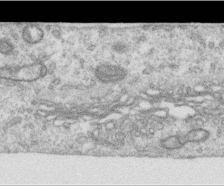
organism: Human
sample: Centriole in RPE cells